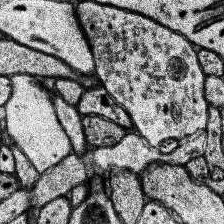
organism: Human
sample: Temporal Lobe